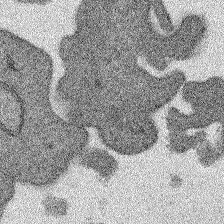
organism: Human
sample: HeLa cells